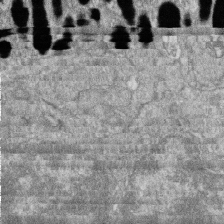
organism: Zebrafish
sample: Cilia; retinal pigment epithelium